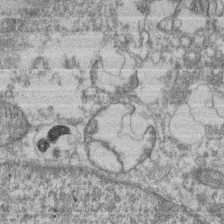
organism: Mouse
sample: T cell stromal cell synapse